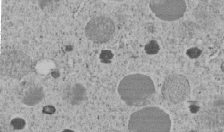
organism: C. elegans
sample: C. elegans embryo early stage